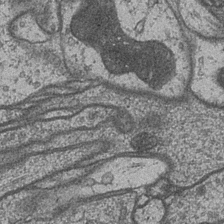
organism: Drosophila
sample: Optic medulla